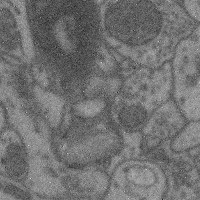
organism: Mouse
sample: Cerebral cortex